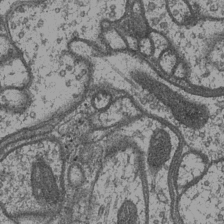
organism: Drosophila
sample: Optic medulla